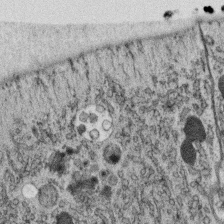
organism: C. elegans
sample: C. elegans oocyte; sperm cells